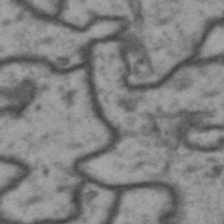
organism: Drosophila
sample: Brain